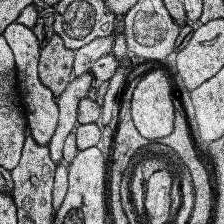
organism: Human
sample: Temporal Lobe